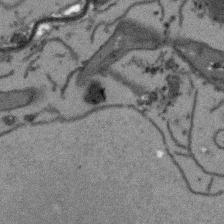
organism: Arabidopsis thaliana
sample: Root tip